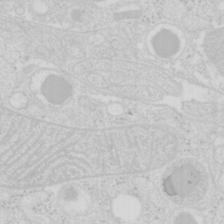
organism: Mouse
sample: Pancreas